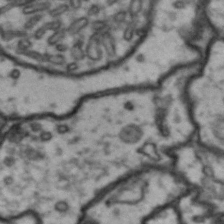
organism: Drosophila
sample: Brain